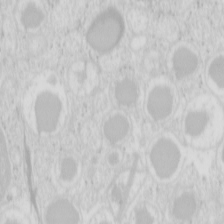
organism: Mouse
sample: Pancreas